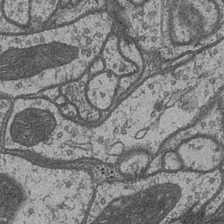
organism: Drosophila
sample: Optic medulla